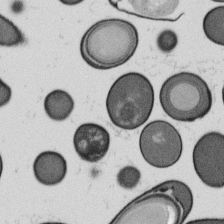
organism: B. subtilis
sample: Bacterial spore